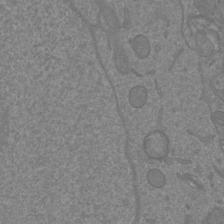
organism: Mouse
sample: Cortical neurons